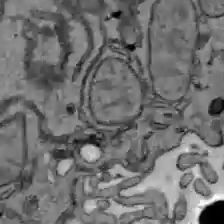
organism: C57BL Mouse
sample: Liver